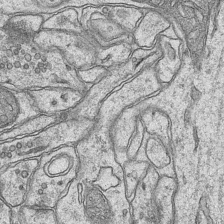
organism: Mouse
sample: CA1 Hippocampus